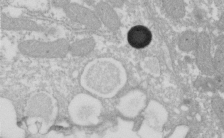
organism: Xenopus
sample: Cilia; centrioles in frog embryo cells